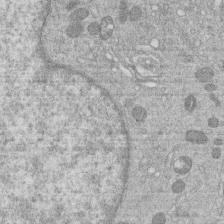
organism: Human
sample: Macrophage cells